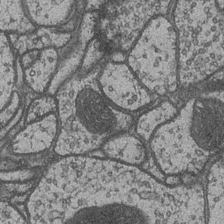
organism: Drosophila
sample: Optic medulla